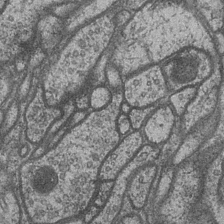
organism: Drosophila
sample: Optic medulla